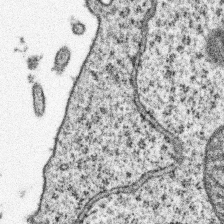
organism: Human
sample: HeLa cells